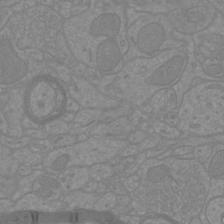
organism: Mouse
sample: Cortical neurons